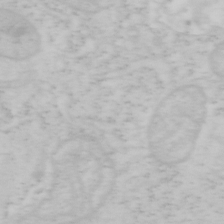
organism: Mouse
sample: OT-I killer T cells with ID8 ovarian cancer cells